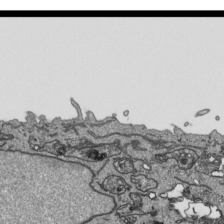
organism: Human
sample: Mitochondria in HCT116 cells